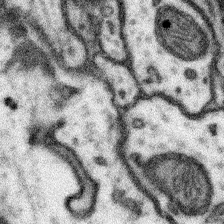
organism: Mouse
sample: Somatosensory cortex neuropil